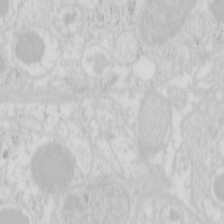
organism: Mouse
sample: Pancreas